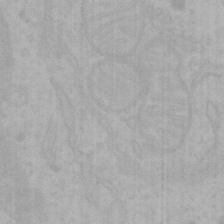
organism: Mouse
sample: Choroid plexus